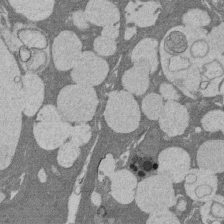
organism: Rat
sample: Salivary granule